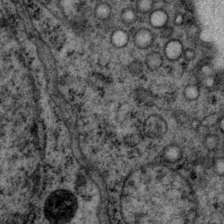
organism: P. pacificus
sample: Pharynx